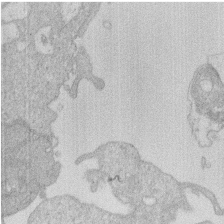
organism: Human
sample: Macrophage cells